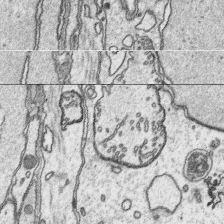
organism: Platynereis dumerilii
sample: Parapodia